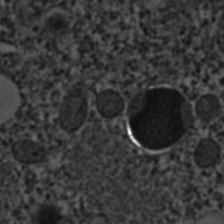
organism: C. elegans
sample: C. elegans embryo